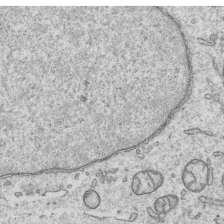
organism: Human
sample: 1205lu cells